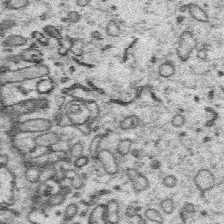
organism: Platynereis dumerilii